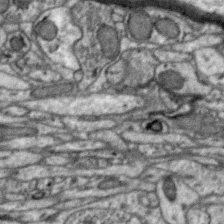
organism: Zebra finch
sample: Brain